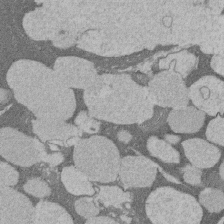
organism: Rat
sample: Salivary granule